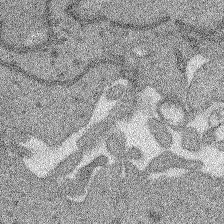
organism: Human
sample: HeLa cells